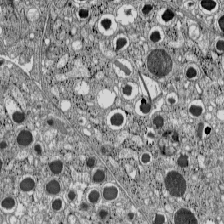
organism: C57BL Mouse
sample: Pancreatic islet